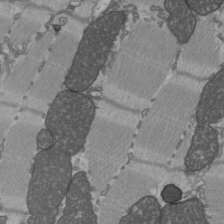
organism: C57BL Mouse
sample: Heart